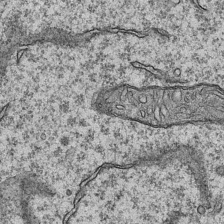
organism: Mouse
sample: CA1 Hippocampus